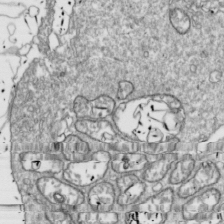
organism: Drosophila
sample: Cell division; meiosis; drosophila spermatocytes